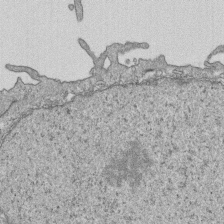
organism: Human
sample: HeLa cell HIV synapse